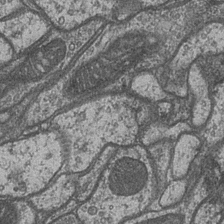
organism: Drosophila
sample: Optic medulla